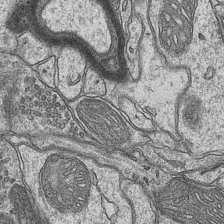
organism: Mouse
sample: CA1 Hippocampus